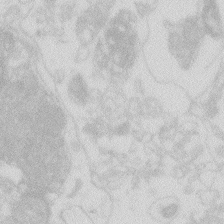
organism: Zebrafish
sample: Macrophage